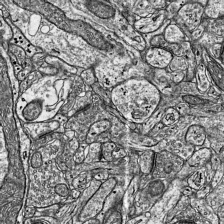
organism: Mouse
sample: Visual Cortex